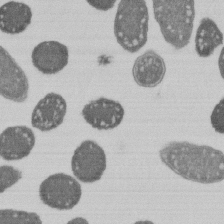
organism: E. coli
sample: Bacterial nucleoid